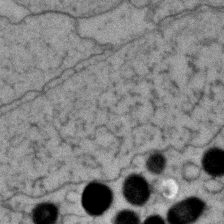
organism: Zebrafish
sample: Zebrafish embryo